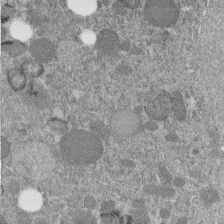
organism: C. elegans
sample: C. elegans embryo early stage